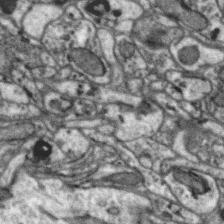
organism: Zebra finch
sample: Brain